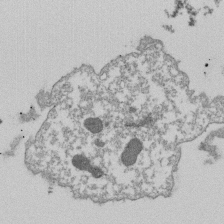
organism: Dictyostelium discoideum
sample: Dictyostelium multivesicular bodies